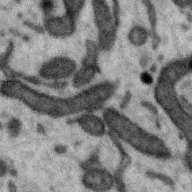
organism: Zebra finch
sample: Brain